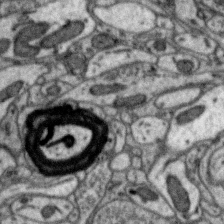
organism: Zebra finch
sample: Brain